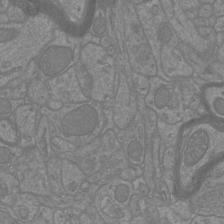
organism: Mouse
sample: Cortical neurons